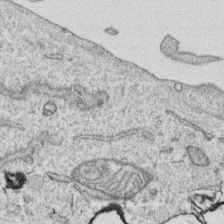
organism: Human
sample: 1205lu cells